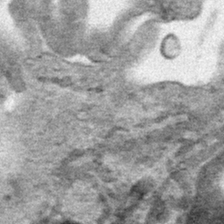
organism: Human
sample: Mitochondria in HCT116 cells